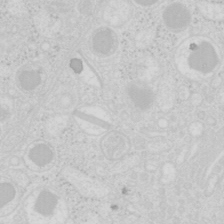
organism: Mouse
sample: Pancreas